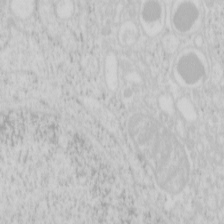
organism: Mouse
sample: Pancreas